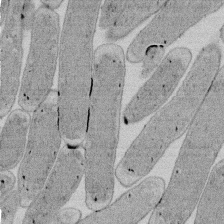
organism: E. coli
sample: Bacterial nucleoid